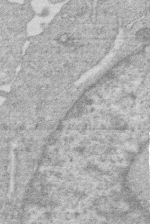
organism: Human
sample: Macrophage cells